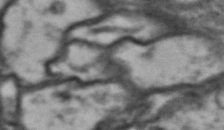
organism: Drosophila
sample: Brain